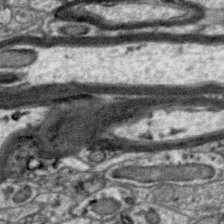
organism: Zebra finch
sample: Brain